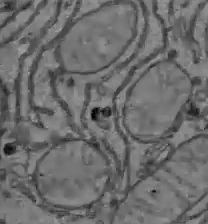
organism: C57BL Mouse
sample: Liver